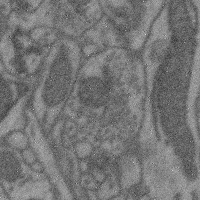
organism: Mouse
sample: Cerebral cortex